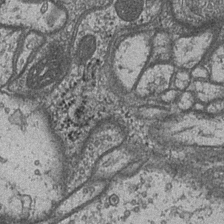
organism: Drosophila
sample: Optic medulla